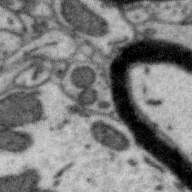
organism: Zebra finch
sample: Brain